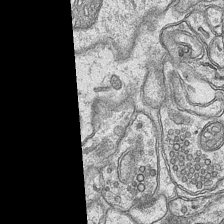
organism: Mouse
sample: CA1 Hippocampus